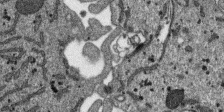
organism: Human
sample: Lung epithelial cells infected with SARS-CoV-2